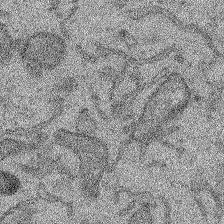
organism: Human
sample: HeLa cells